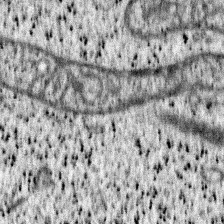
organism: Human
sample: HeLa cells